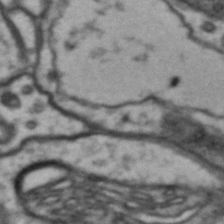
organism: Drosophila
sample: Brain